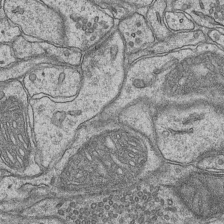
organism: Mouse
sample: CA1 Hippocampus